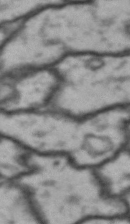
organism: Drosophila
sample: Brain